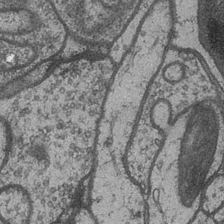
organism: Drosophila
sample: Optic medulla